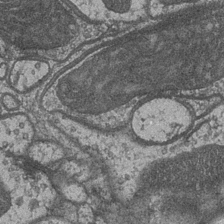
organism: Drosophila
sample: Optic medulla